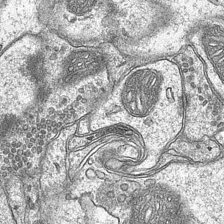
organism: Mouse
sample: CA1 Hippocampus